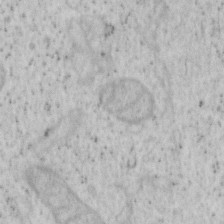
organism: Human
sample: HeLa cells